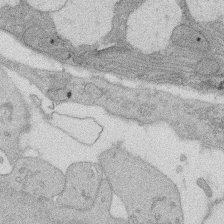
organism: Rat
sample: Salivary granule